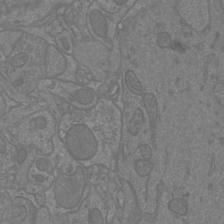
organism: Mouse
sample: Cortical neurons